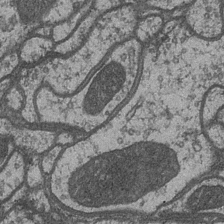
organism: Drosophila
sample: Optic medulla